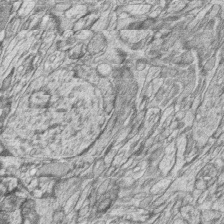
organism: Zebrafish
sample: synaptic ribbons in rod cells and cone cells